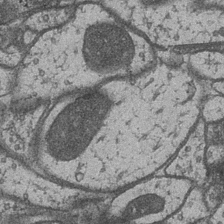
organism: Drosophila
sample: Optic medulla